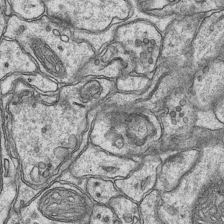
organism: Mouse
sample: CA1 Hippocampus